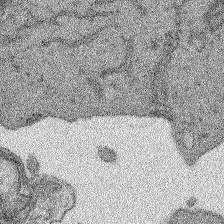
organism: Human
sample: HeLa cells